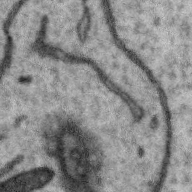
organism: Zebra finch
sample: Brain